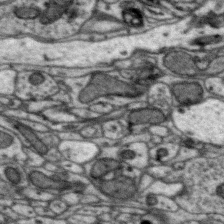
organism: Zebra finch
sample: Brain